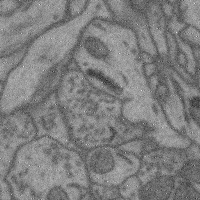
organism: Mouse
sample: Cerebral cortex